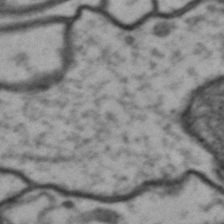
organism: Drosophila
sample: Brain